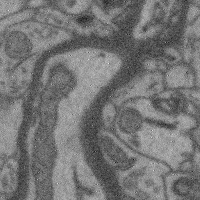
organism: Mouse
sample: Cerebral cortex